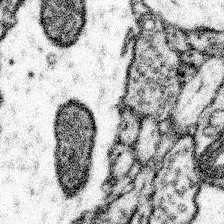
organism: Mouse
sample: Somatosensory cortex neuropil